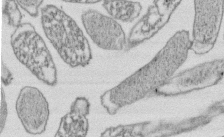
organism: E. coli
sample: Bacterial nucleoid